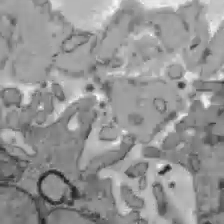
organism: C57BL Mouse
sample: Liver